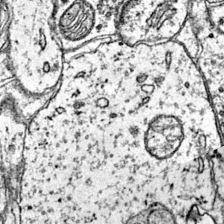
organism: Mouse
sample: Primary visual cortex